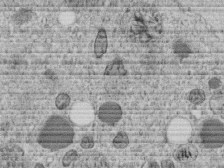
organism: C. elegans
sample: C. elegans embryo early stage